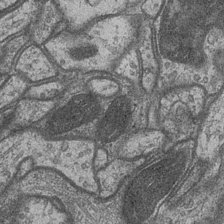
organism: Drosophila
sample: Optic medulla